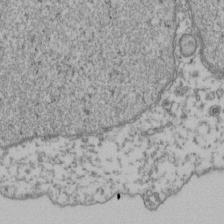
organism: Human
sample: Activated Jurkat CD4+ T cells